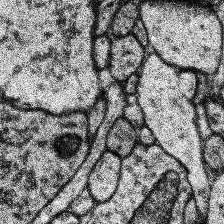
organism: Human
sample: Temporal Lobe